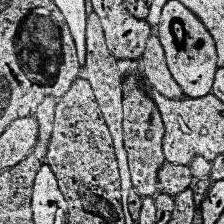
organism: Human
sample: Temporal Lobe